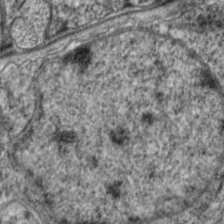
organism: C. elegans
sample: Pharynx